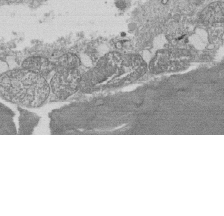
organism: Tetrahymena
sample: Cilia in tetrahymena